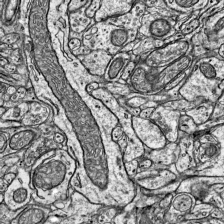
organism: Mouse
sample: Visual Cortex